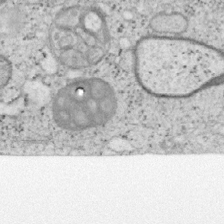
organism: Mouse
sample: OT-I killer T cells with ID8 ovarian cancer cells